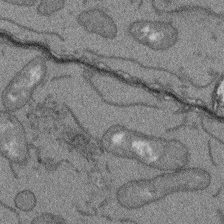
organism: Arabidopsis thaliana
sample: Root tip